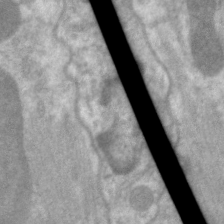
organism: C. elegans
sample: Pharynx